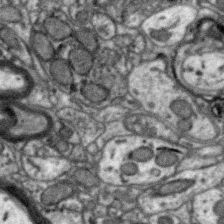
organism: Zebra finch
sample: Brain